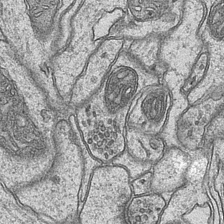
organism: Mouse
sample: CA1 Hippocampus